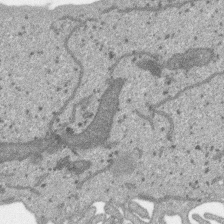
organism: Human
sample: Lung epithelial cells infected with SARS-CoV-2